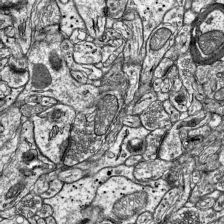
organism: Mouse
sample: Visual Cortex